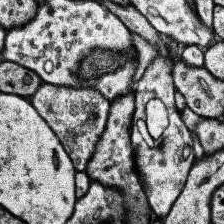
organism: Human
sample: Temporal Lobe